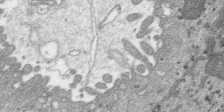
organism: Human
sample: Lung epithelial cells infected with SARS-CoV-2